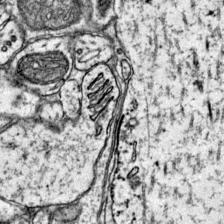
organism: Mouse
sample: Primary visual cortex